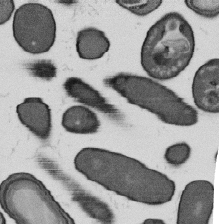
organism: B. subtilis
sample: Bacterial spore